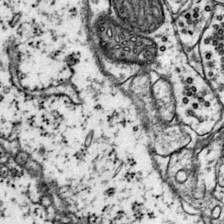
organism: Mouse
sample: Primary visual cortex